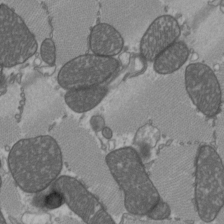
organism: C57BL Mouse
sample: Heart